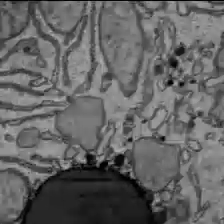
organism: C57BL Mouse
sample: Liver